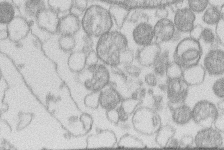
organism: Human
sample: Macrophage cells